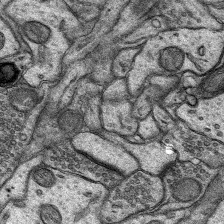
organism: Rat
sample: Hippocampus